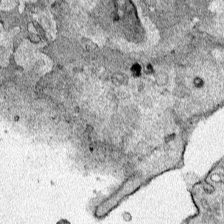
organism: Human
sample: Mitochondria in HCT116 cells